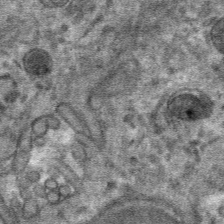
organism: Mouse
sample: Mouse hepatocytes